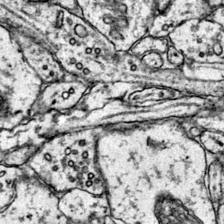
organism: Mouse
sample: Primary visual cortex